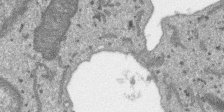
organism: Human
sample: Lung epithelial cells infected with SARS-CoV-2